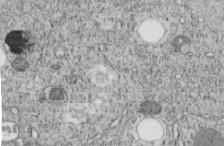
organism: C. elegans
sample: C. elegans embryo early stage